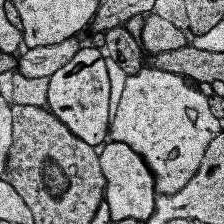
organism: Human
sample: Temporal Lobe